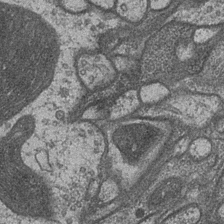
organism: Drosophila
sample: Optic medulla